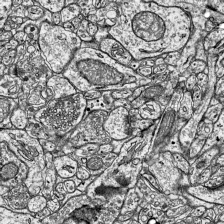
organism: Mouse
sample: Visual Cortex